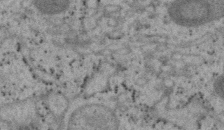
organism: Human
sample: HeLa cells